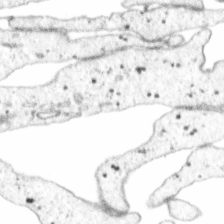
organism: Human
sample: HeLa cells